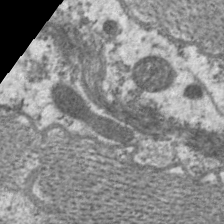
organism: C. elegans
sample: Pharynx